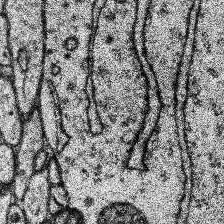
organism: Human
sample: Temporal Lobe